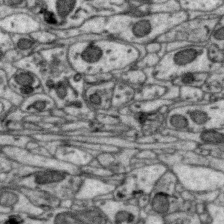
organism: Zebra finch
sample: Brain